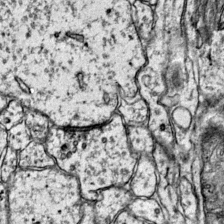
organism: Mouse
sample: Primary visual cortex